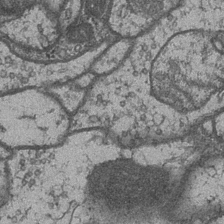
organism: Drosophila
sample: Optic medulla